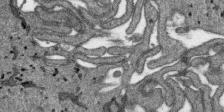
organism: Human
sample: Lung epithelial cells, uninfected (mock) control